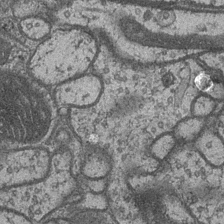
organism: Drosophila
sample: Optic medulla